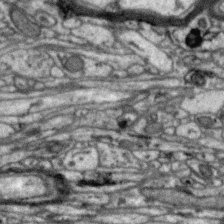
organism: Zebra finch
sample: Brain